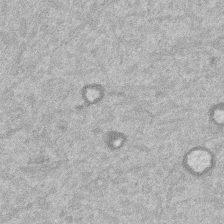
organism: Mouse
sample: Dividing mouse embryo 1 cell stage